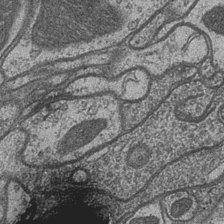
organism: Drosophila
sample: Optic medulla